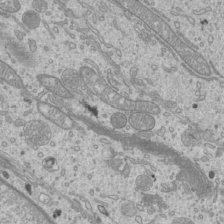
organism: Mouse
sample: Cilia; mouse epididymis